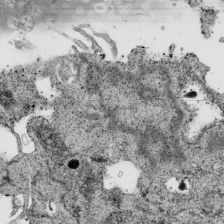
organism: Human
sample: Mitochondria in HCT116 cells